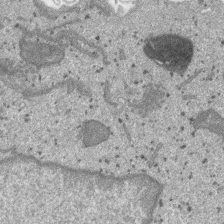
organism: Human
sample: Lung epithelial cells infected with SARS-CoV-2